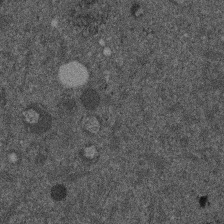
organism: Mouse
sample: Dividing mouse embryo 1 cell stage